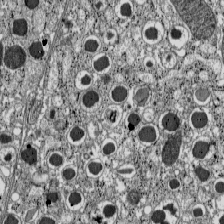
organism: C57BL Mouse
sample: Pancreatic islet